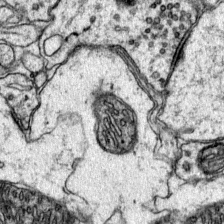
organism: Mouse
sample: Primary visual cortex